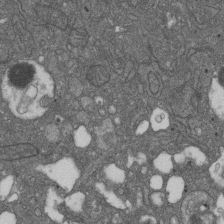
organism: Drosophila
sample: Nephrocyte